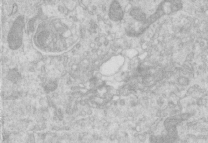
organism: Human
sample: Centriole in RPE cells